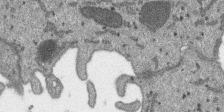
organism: Human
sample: Lung epithelial cells infected with SARS-CoV-2